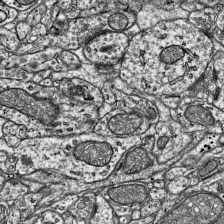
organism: Mouse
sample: Visual Cortex